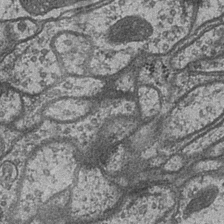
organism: Drosophila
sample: Optic medulla